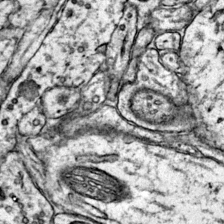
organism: Mouse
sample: Primary visual cortex